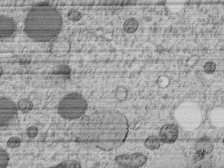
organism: C. elegans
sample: C. elegans embryo early stage